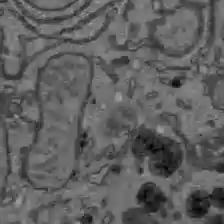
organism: C57BL Mouse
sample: Liver